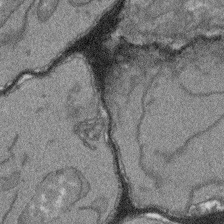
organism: Arabidopsis thaliana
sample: Root tip